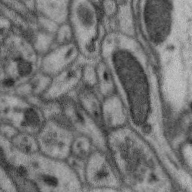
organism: Zebra finch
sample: Brain